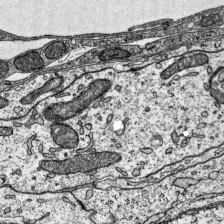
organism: Mouse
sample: Visual Cortex